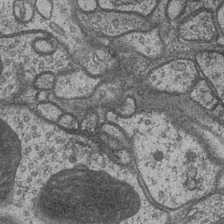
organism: Drosophila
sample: Optic medulla